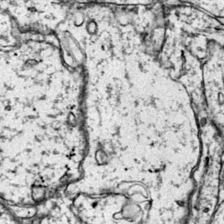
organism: Mouse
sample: Primary visual cortex